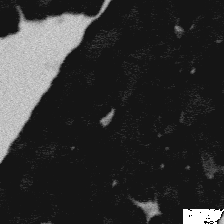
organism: Platynereis dumerilii